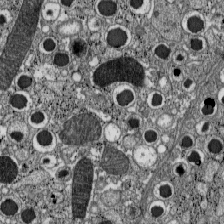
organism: C57BL Mouse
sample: Pancreatic islet